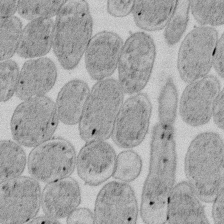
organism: E. coli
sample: Bacterial nucleoid